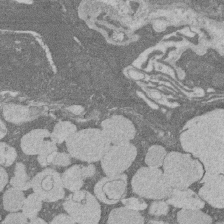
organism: Rat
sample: Salivary granule